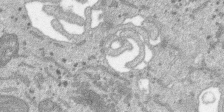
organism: Human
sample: Lung epithelial cells infected with SARS-CoV-2